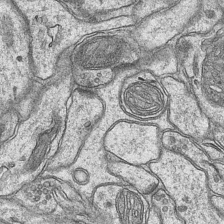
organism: Mouse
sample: CA1 Hippocampus